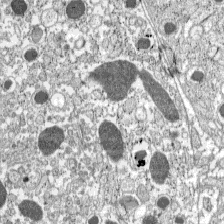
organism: C57BL Mouse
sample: Pancreatic islet